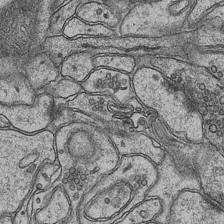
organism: Mouse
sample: CA1 Hippocampus